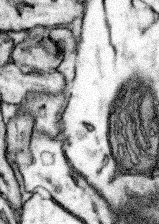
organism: Mouse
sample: Somatosensory cortex neuropil